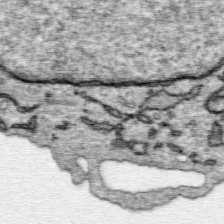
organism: Human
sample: HeLa cells